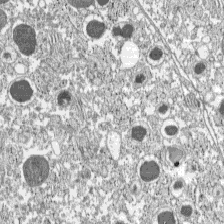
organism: C57BL Mouse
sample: Pancreatic islet